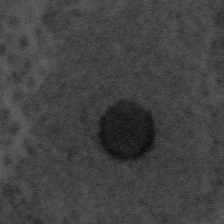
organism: Tuwongella immobilis